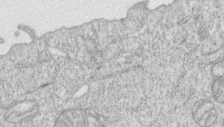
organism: Human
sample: HeLa cell HIV synapse